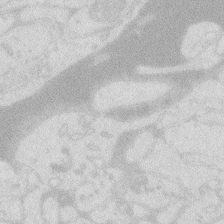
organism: Zebrafish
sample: Macrophage